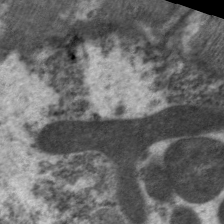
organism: C. elegans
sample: Pharynx